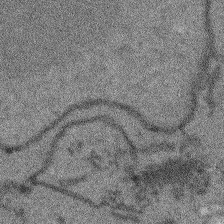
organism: Arabidopsis thaliana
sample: Root tip